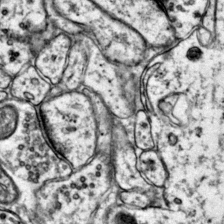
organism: Mouse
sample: Primary visual cortex